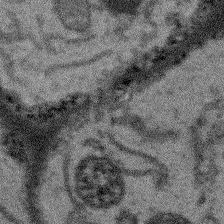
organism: Arabidopsis thaliana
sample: Root tip